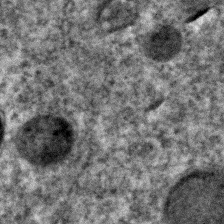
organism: C. elegans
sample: C. elegans embryo